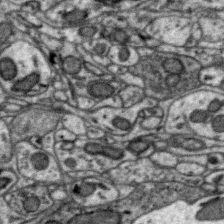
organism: Zebra finch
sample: Brain